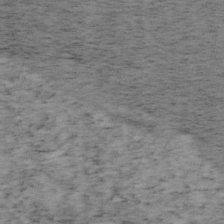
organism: Mouse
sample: OT-I killer T cells with ID8 ovarian cancer cells